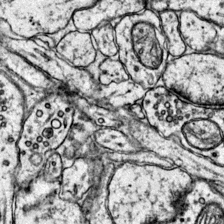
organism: Mouse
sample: Primary visual cortex